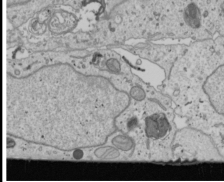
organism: Human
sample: Mitochondria in U2OS cells